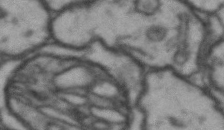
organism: Drosophila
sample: Brain